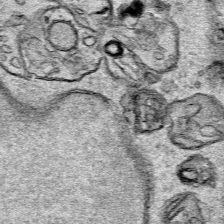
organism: Human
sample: Mitochondria in HCT116 cells